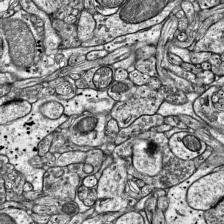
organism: Mouse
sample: Visual Cortex